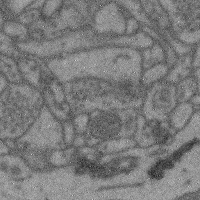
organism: Mouse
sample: Cerebral cortex